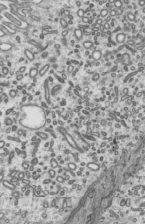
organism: Mouse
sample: Mouse epididymis efferent ductule cilia